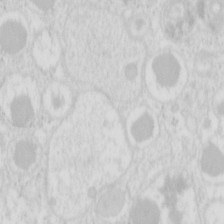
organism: Mouse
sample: Pancreas